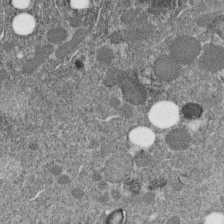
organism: C. elegans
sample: C. elegans embryo early stage